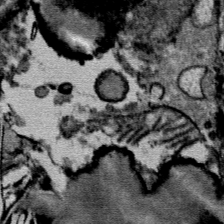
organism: Mouse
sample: Mouse Salivary gland